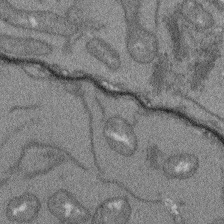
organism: Arabidopsis thaliana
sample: Root tip